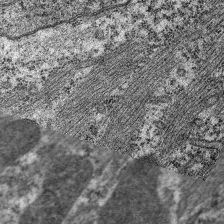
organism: C. elegans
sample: Pharynx